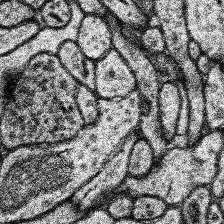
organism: Human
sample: Temporal Lobe